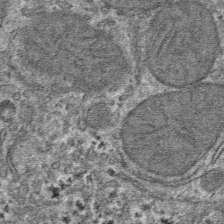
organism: Mouse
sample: Mouse hepatocytes